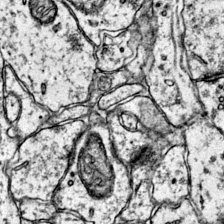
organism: Mouse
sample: Primary visual cortex